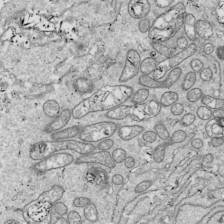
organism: Drosophila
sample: Cell division; meiosis; drosophila spermatocytes